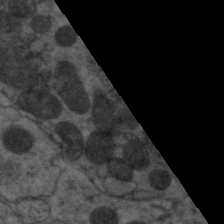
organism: C. elegans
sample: Pharynx